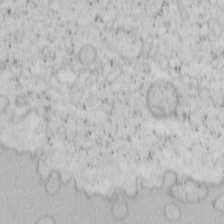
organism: Human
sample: HeLa cells